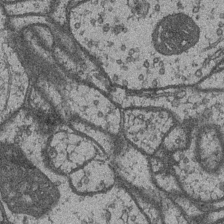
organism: Drosophila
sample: Optic medulla